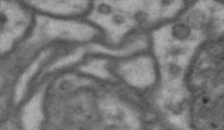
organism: Drosophila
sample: Brain